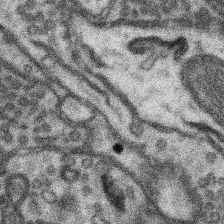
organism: Mouse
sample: Somatosensory cortex neuropil